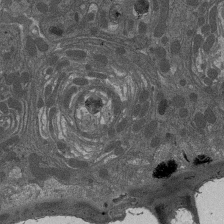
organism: Drosophila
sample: Antenna